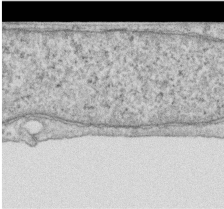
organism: Human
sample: Centriole in RPE cells